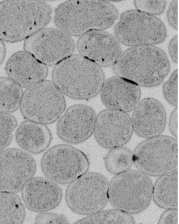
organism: E. coli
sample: Bacterial nucleoid